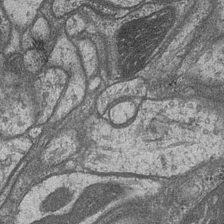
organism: Drosophila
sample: Optic medulla